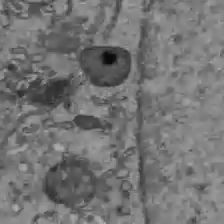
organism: C57BL Mouse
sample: Liver